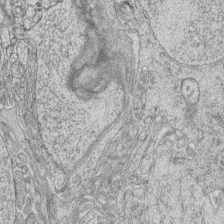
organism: Zebrafish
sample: synaptic ribbons in rod cells and cone cells